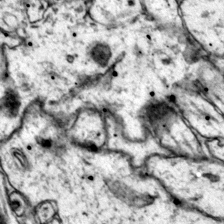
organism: Mouse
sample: Primary visual cortex